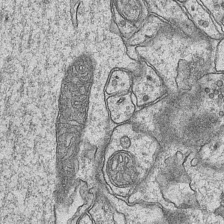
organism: Mouse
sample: CA1 Hippocampus